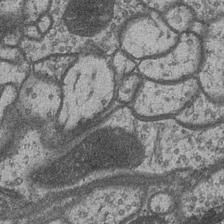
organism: Drosophila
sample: Optic medulla